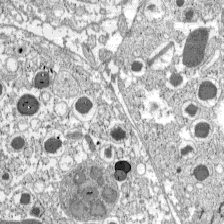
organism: C57BL Mouse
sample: Pancreatic islet